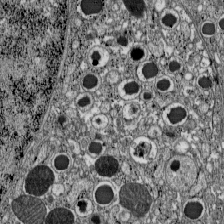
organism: C57BL Mouse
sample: Pancreatic islet